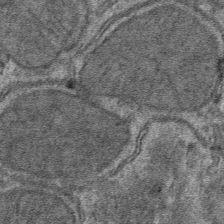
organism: Mouse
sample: Mouse hepatocytes